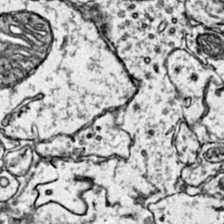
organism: Mouse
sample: Primary visual cortex